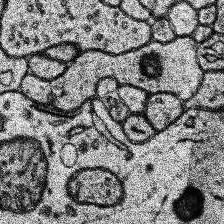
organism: Human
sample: Temporal Lobe